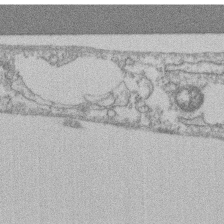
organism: Mouse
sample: T cell stromal cell synapse